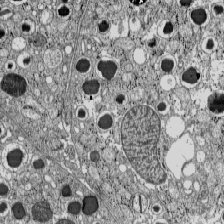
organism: C57BL Mouse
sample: Pancreatic islet